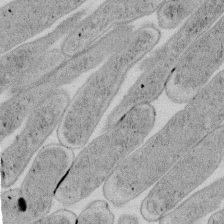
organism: E. coli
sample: Bacterial nucleoid